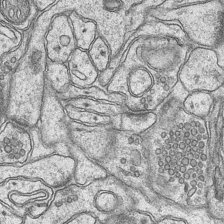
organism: Mouse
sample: CA1 Hippocampus